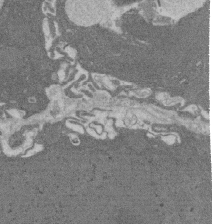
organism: Rat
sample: Salivary granule